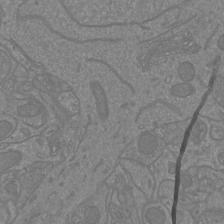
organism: Mouse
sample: Cortical neurons